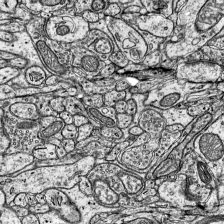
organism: Mouse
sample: Visual Cortex